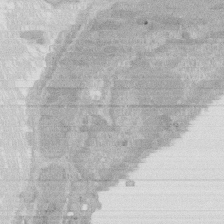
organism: Rat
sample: Salivary granule